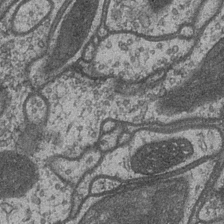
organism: Drosophila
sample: Optic medulla